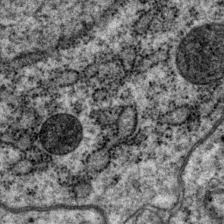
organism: P. pacificus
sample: Pharynx